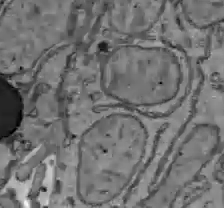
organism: C57BL Mouse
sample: Liver